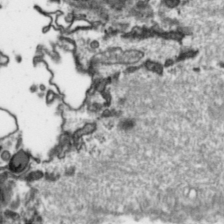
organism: Toxoplasma gondii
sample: Parasites in a vacuole inside a host cell